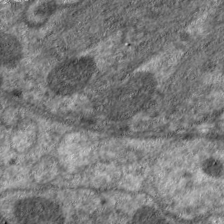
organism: C. elegans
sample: Pharynx